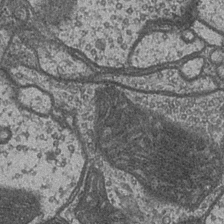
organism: Drosophila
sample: Optic medulla